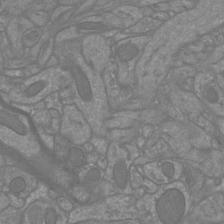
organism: Mouse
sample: Cortical neurons